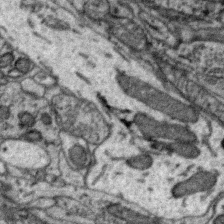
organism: Zebra finch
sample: Brain